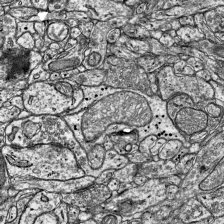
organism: Mouse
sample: Visual Cortex